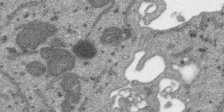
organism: Human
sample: Lung epithelial cells infected with SARS-CoV-2